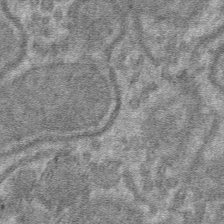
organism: Mouse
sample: Mouse hepatocytes